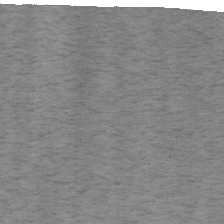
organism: Mouse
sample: OT-I killer T cells with ID8 ovarian cancer cells